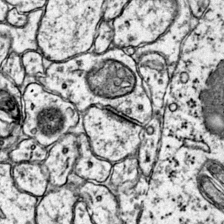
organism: Mouse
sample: Primary visual cortex